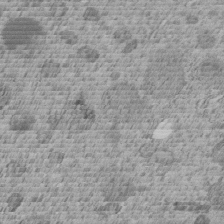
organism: C. elegans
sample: C. elegans embryo early stage